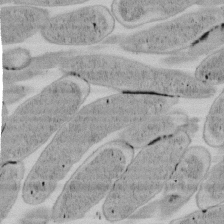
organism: E. coli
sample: Bacterial nucleoid